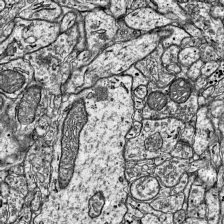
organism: Mouse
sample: Visual Cortex